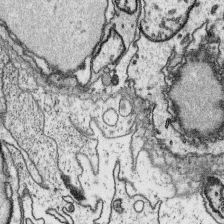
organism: Platynereis dumerilii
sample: Parapodia